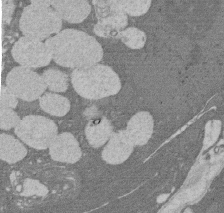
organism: Rat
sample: Salivary granule